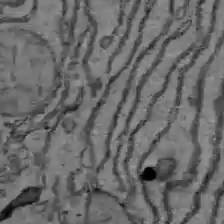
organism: C57BL Mouse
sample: Liver